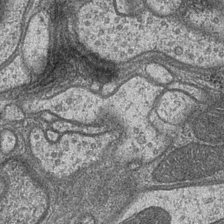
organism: Drosophila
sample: Optic medulla